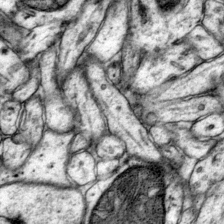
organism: Mouse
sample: Primary visual cortex